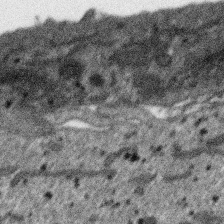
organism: Human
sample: Lung epithelial cells infected with SARS-CoV-2